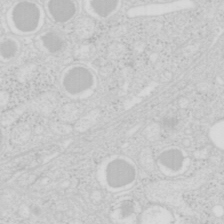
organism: Mouse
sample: Pancreas